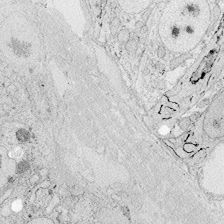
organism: Zebrafish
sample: Whole-Brain